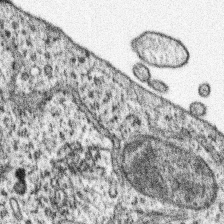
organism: Human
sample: HeLa cells